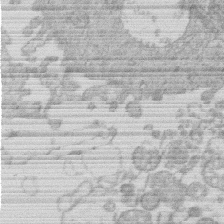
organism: Human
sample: Macrophage cells